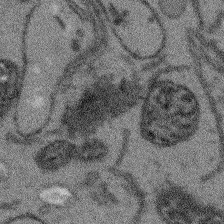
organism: Arabidopsis thaliana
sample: Root tip